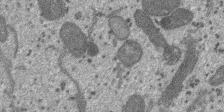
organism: Human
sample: Lung epithelial cells infected with SARS-CoV-2